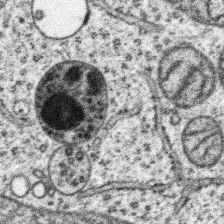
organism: Human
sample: HeLa cells